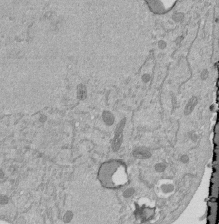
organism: Mouse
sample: ED-1 cell nuclei; centrioles